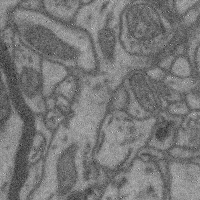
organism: Mouse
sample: Cerebral cortex